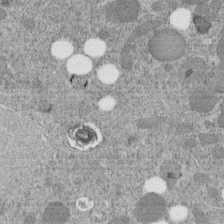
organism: C. elegans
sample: C. elegans embryo early stage